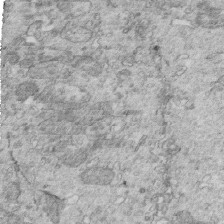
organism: Mouse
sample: Multiciliated cells